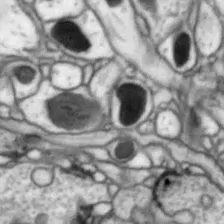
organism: Drosophila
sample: Optic lobe